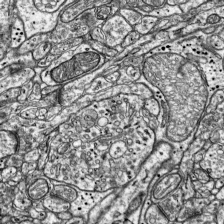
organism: Mouse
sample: Visual Cortex